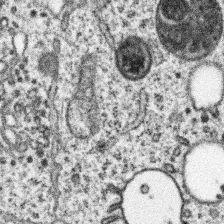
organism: Human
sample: HeLa cells